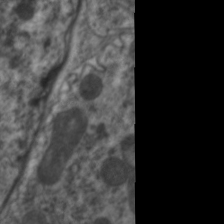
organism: C. elegans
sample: Pharynx